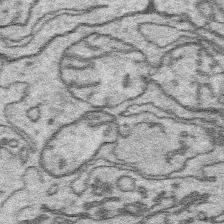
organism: Platynereis dumerilii